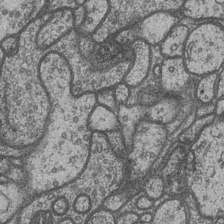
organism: Drosophila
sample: Optic medulla